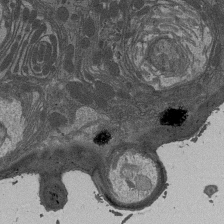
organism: Drosophila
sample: Antenna